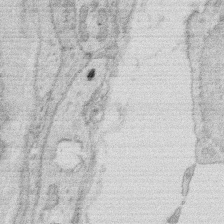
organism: Rat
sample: Salivary granule